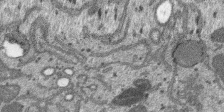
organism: Human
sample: Lung epithelial cells infected with SARS-CoV-2